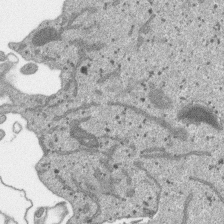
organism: Human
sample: Lung epithelial cells infected with SARS-CoV-2